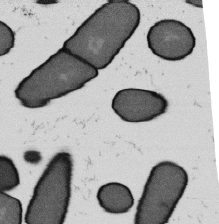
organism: B. subtilis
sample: Bacterial spore